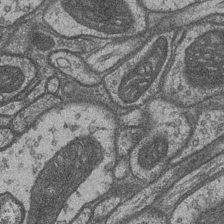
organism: Drosophila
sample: Optic medulla